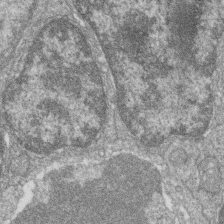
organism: Zebrafish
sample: Cilia; retinal pigment epithelium